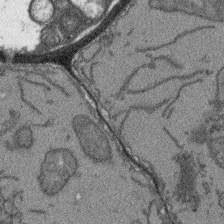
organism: Arabidopsis thaliana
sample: Root tip